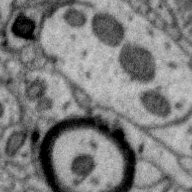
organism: Zebra finch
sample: Brain